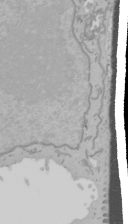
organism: Mouse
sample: Cancer cell death in ED-1 cells